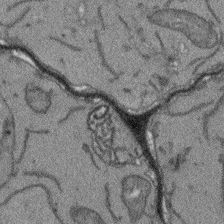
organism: Arabidopsis thaliana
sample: Root tip